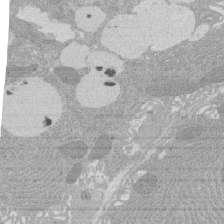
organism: Rat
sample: Salivary granule